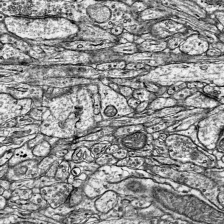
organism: Mouse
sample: Visual Cortex